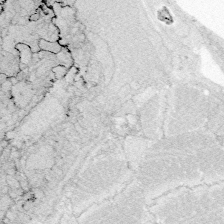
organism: Zebrafish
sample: Whole-Brain